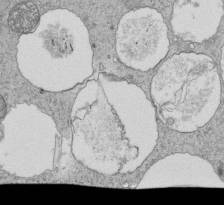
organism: Tetrahymena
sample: Cilia in tetrahymena